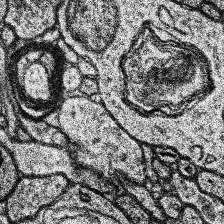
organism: Human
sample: Temporal Lobe